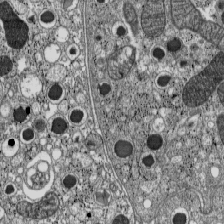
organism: C57BL Mouse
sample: Pancreatic islet